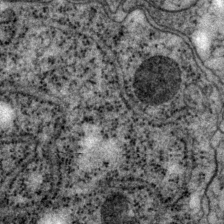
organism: P. pacificus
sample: Pharynx